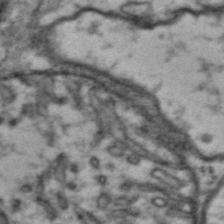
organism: Drosophila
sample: Brain